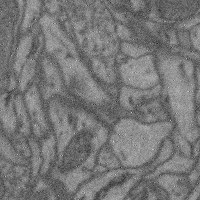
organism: Mouse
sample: Cerebral cortex